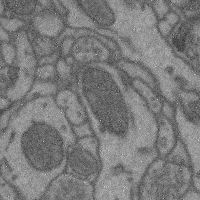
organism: Mouse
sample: Cerebral cortex